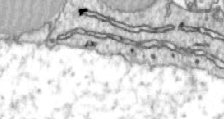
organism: Zebrafish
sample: Actinotrichia fibers